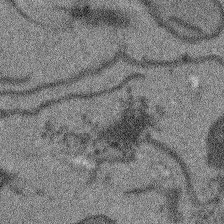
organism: Arabidopsis thaliana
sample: Root tip